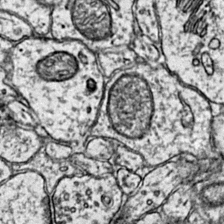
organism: Mouse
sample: Primary visual cortex